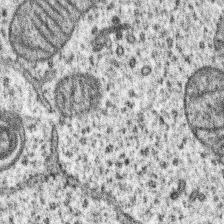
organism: Human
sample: HeLa cells